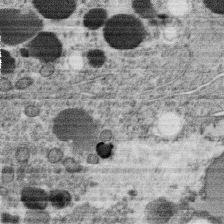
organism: C. elegans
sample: C. elegans oocyte; sperm cells